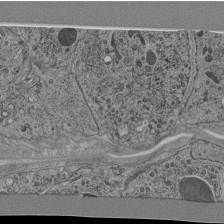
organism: C. elegans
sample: C. elegans pharynx